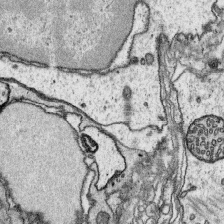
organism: Platynereis dumerilii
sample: Parapodia